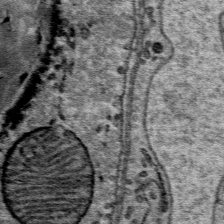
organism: Mouse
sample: Mouse Salivary gland